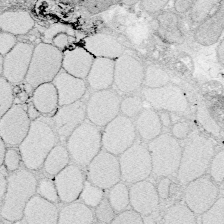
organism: Zebrafish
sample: Whole-Brain